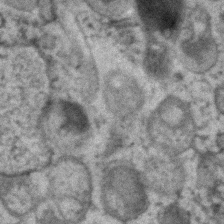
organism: Human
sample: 1205lu cells